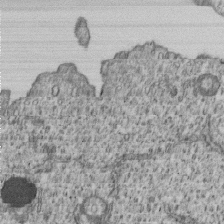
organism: Human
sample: MDA-MB-231 cells